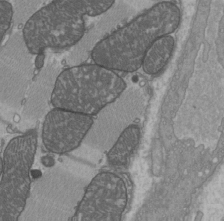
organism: C57BL Mouse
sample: Heart